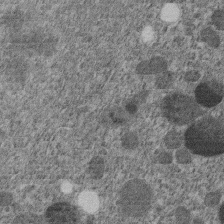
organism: C. elegans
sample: C. elegans embryo early stage